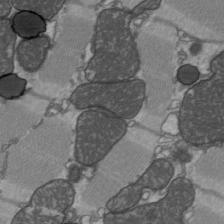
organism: C57BL Mouse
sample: Heart